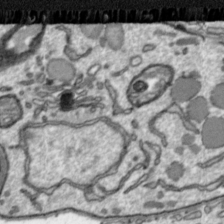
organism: Toxoplasma gondii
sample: Parasites in a vacuole inside a host cell